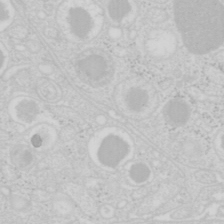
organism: Mouse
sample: Pancreas